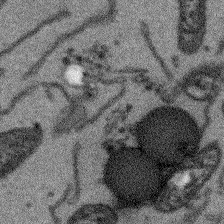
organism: Arabidopsis thaliana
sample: Root tip